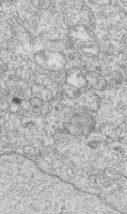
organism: Human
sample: HeLa cell HIV synapse